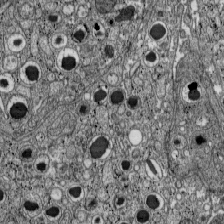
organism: C57BL Mouse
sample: Pancreatic islet